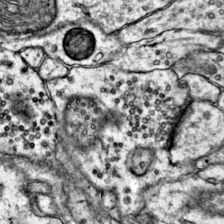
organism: Mouse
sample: Primary visual cortex